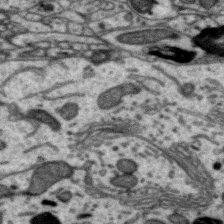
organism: Zebra finch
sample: Brain